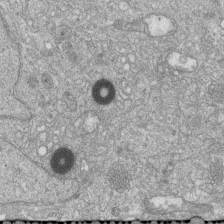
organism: Human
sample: HeLa cell HIV synapse